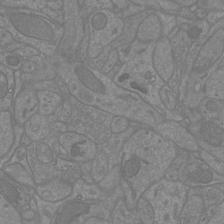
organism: Mouse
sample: Cortical neurons